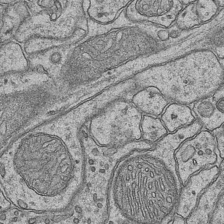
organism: Mouse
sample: CA1 Hippocampus